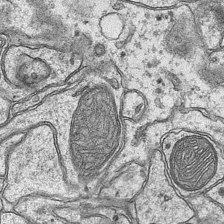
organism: Mouse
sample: CA1 Hippocampus